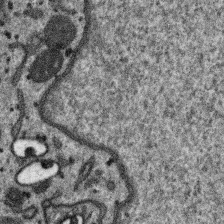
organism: Human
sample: Lung epithelial cells infected with SARS-CoV-2